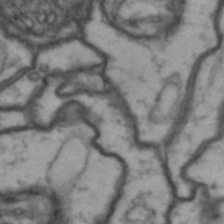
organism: Drosophila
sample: Brain